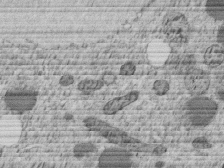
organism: C. elegans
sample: C. elegans embryo early stage